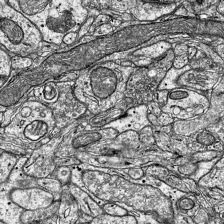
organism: Mouse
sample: Visual Cortex